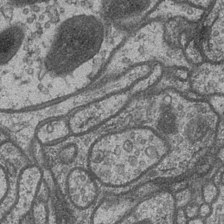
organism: Drosophila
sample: Optic medulla